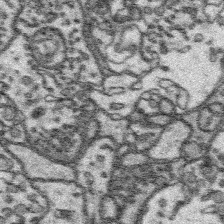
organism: Platynereis dumerilii